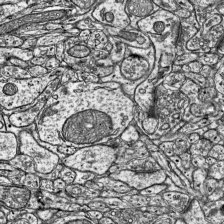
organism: Mouse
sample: Visual Cortex